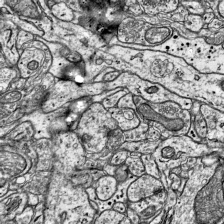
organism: Mouse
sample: Visual Cortex